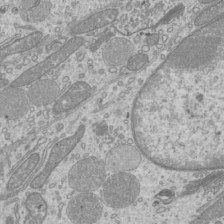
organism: Mouse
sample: Cilia; mouse epididymis